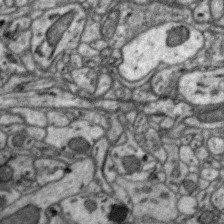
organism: Zebra finch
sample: Brain